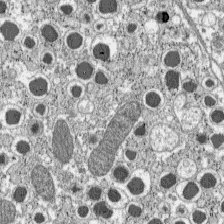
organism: C57BL Mouse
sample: Pancreatic islet